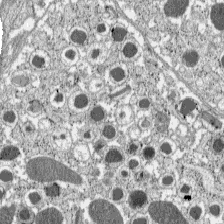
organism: C57BL Mouse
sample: Pancreatic islet